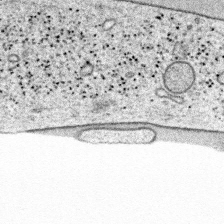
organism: Human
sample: HeLa cells